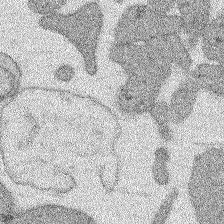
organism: Human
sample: HeLa cells